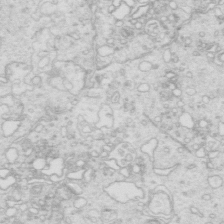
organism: Mouse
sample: Multiciliated cells